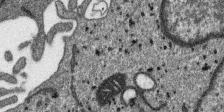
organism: Human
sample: Lung epithelial cells infected with SARS-CoV-2